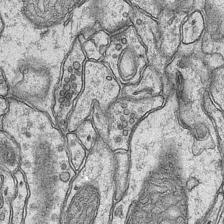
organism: Mouse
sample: CA1 Hippocampus